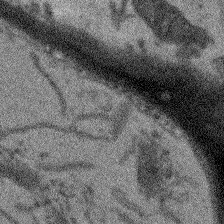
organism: Arabidopsis thaliana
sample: Root tip